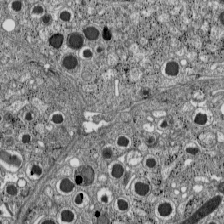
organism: C57BL Mouse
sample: Pancreatic islet